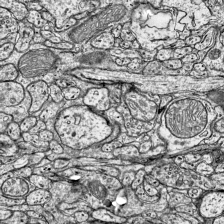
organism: Mouse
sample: Visual Cortex